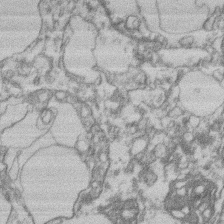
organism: Mouse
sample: T cell stromal cell synapse